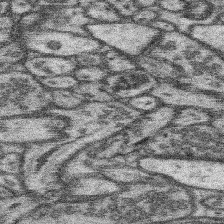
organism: Mouse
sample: Somatosensory cortex neuropil